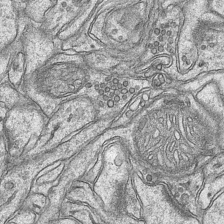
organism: Mouse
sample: CA1 Hippocampus